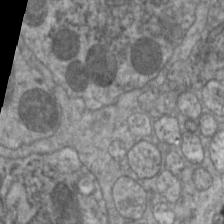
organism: C. elegans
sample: Pharynx